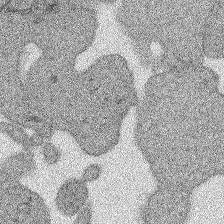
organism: Human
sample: HeLa cells